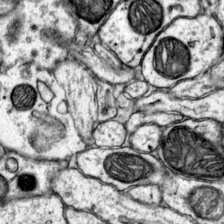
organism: Mouse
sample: Primary visual cortex